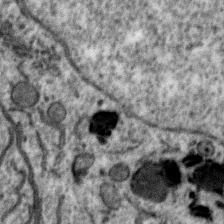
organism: Zebra finch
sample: Brain